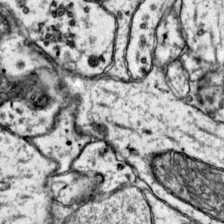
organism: Mouse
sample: Primary visual cortex